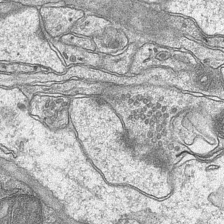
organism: Mouse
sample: CA1 Hippocampus